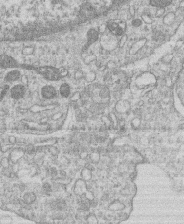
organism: Human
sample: Macrophage cells